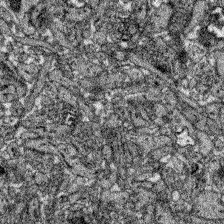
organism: Zebrafish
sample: Larval olfactory bulb